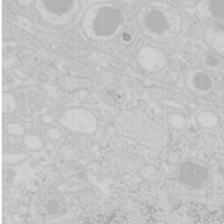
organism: Mouse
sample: Pancreas